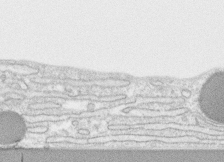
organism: Human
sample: CRL-1474